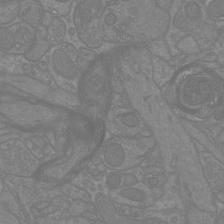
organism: Mouse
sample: Cortical neurons